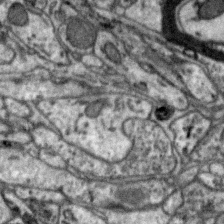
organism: Zebra finch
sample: Brain